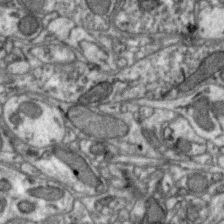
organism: Zebra finch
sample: Brain